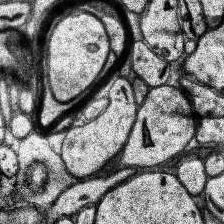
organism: Human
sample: Temporal Lobe